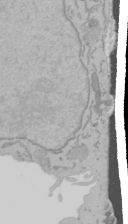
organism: Mouse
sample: Cancer cell death in ED-1 cells